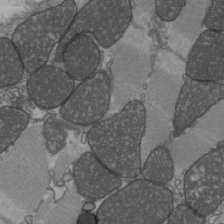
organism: C57BL Mouse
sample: Heart